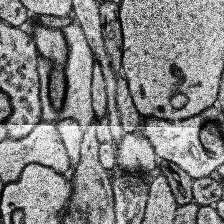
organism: Human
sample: Temporal Lobe